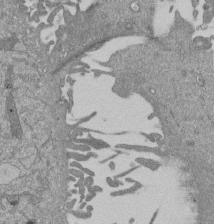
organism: Mouse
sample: ED-1 cell nuclei; centrioles